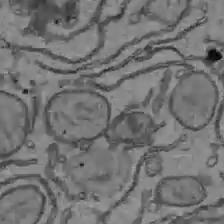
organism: C57BL Mouse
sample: Liver